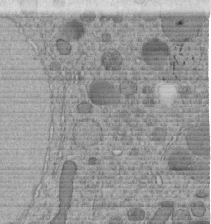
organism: C. elegans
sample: C. elegans embryo early stage